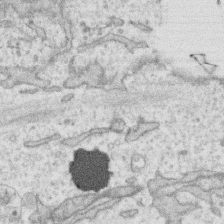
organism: Human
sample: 1205lu cells